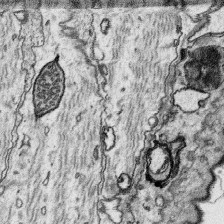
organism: Platynereis dumerilii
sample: Parapodia